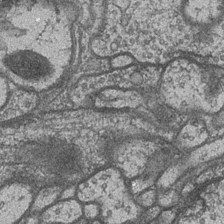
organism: Drosophila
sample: Optic medulla